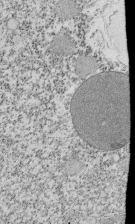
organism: Tetrahymena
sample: Cilia in tetrahymena